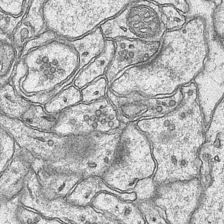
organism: Mouse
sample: CA1 Hippocampus